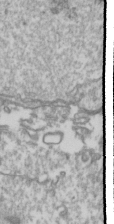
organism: Drosophila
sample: Cell division; meiosis; drosophila spermatocytes